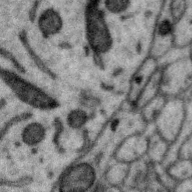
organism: Zebra finch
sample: Brain